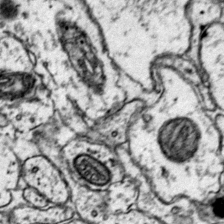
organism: Mouse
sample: Primary visual cortex